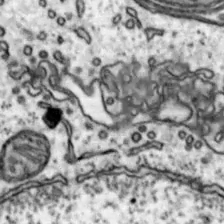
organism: Mouse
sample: Nucleus accumbens